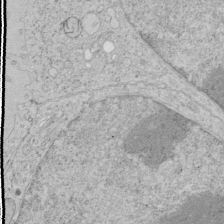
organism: Human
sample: Mitochondria in HCT116 cells